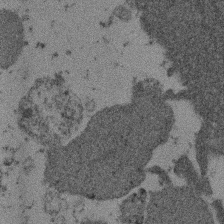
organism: Mouse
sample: Dividing mouse embryo 1 cell stage